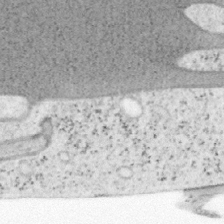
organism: Mouse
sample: OT-I killer T cells with ID8 ovarian cancer cells